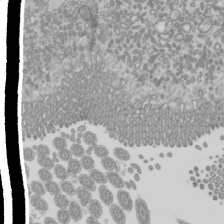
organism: Mouse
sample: Cilia; mouse epididymis